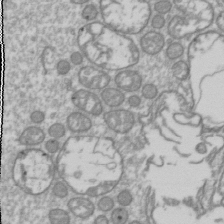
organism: Drosophila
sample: Cell division; meiosis; drosophila spermatocytes